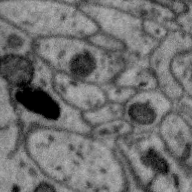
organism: Zebra finch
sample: Brain